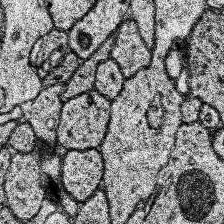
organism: Human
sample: Temporal Lobe